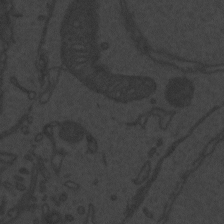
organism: Zebrafish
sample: Macrophage infected with Toxoplasma gondii